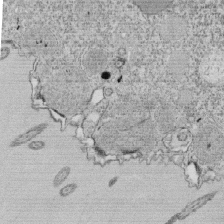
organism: Tetrahymena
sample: Cilia in tetrahymena